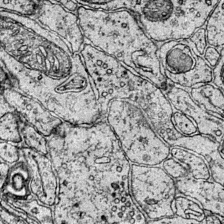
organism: Mouse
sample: Primary visual cortex